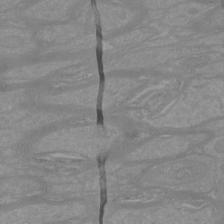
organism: Mouse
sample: Cortical neurons